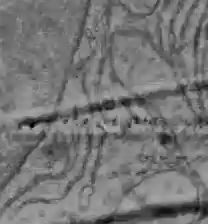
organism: C57BL Mouse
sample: Liver